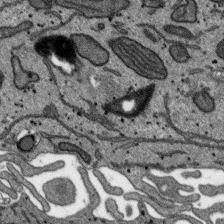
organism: Human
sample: Lung epithelial cells, uninfected (mock) control